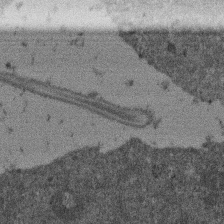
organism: Mouse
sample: Dividing mouse embryo 1 cell stage